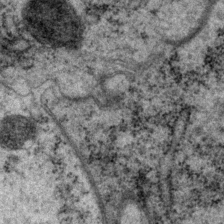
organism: P. pacificus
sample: Pharynx